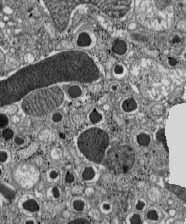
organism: C57BL Mouse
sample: Pancreatic islet